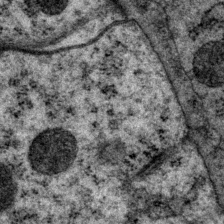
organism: P. pacificus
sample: Pharynx